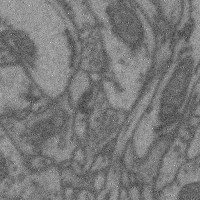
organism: Mouse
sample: Cerebral cortex